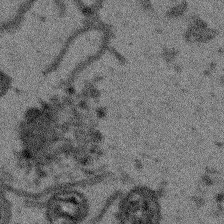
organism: Arabidopsis thaliana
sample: Root tip